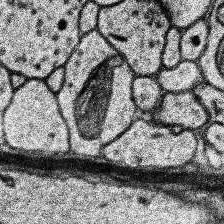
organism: Human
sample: Temporal Lobe